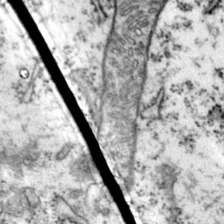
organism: Mouse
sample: Primary visual cortex